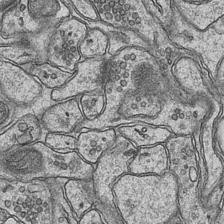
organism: Mouse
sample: CA1 Hippocampus